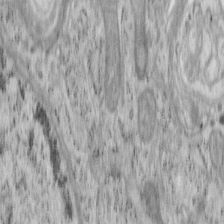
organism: Human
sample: HeLa cells